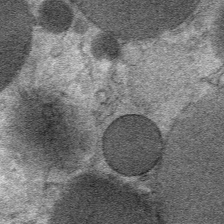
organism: Mouse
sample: Mouse Salivary gland